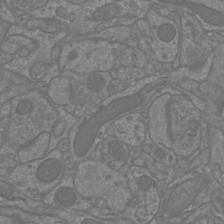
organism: Mouse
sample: Cortical neurons